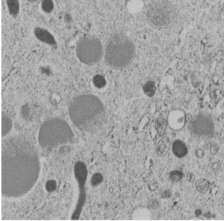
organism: C. elegans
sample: C. elegans embryo early stage